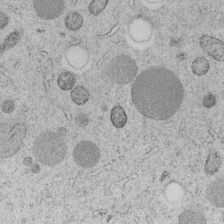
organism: C. elegans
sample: C. elegans embryo early stage